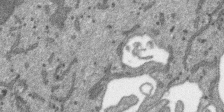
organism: Human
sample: Lung epithelial cells infected with SARS-CoV-2